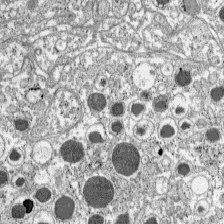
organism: C57BL Mouse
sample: Pancreatic islet